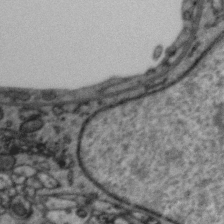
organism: Zebra finch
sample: Brain